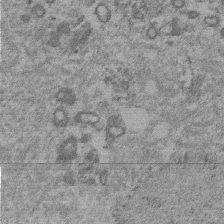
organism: Mouse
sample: Dividing mouse embryo 1 cell stage